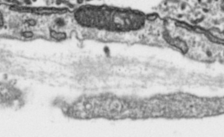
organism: Toxoplasma gondii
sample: Parasites in a vacuole inside a host cell